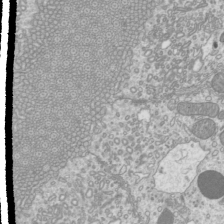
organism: Mouse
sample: Cilia; mouse epididymis